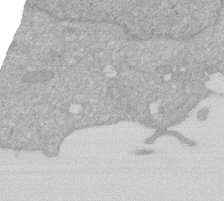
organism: Human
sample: HIV infected U937 cells